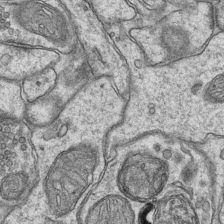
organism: Mouse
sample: CA1 Hippocampus